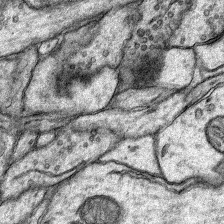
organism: Rat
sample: Hippocampus